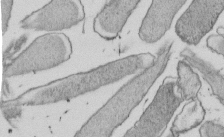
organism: E. coli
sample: Bacterial nucleoid